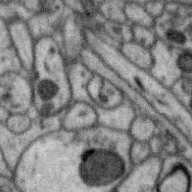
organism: Zebra finch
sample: Brain